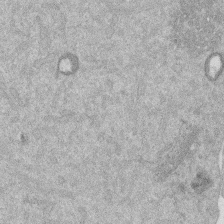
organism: Mouse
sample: Dividing mouse embryo 1 cell stage